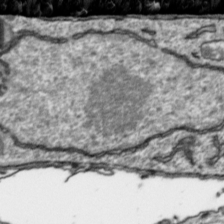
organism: Toxoplasma gondii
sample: Parasites in a vacuole inside a host cell